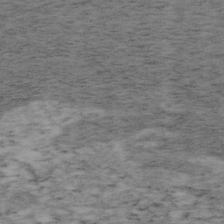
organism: Mouse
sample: OT-I killer T cells with ID8 ovarian cancer cells